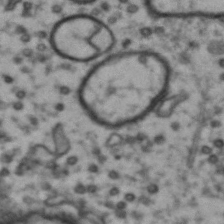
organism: Drosophila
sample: Brain